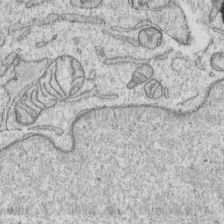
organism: Human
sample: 1205lu cells